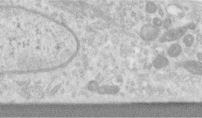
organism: Human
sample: Centriole in RPE cells